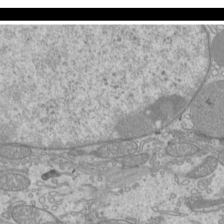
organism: Mouse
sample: Cilia; mouse epididymis